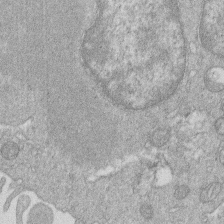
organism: Human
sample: Macrophage cells